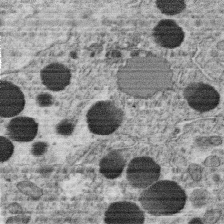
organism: C. elegans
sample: C. elegans oocyte; sperm cells